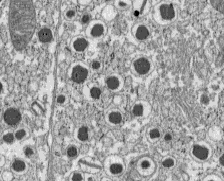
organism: C57BL Mouse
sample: Pancreatic islet